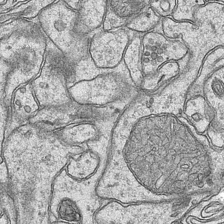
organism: Mouse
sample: CA1 Hippocampus